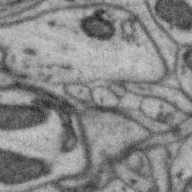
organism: Zebra finch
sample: Brain